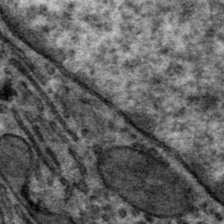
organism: Mouse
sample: Mouse hepatocytes